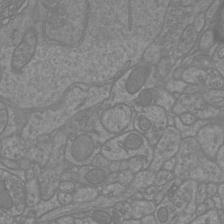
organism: Mouse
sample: Cortical neurons